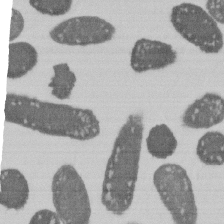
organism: E. coli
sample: Bacterial nucleoid